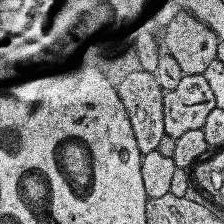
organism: Human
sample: Temporal Lobe